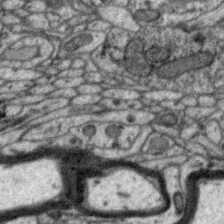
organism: Zebra finch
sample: Brain